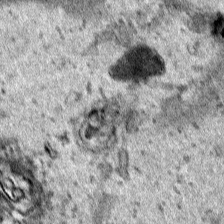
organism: Human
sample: Mitochondria in HCT116 cells